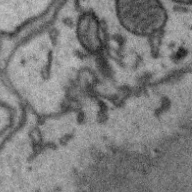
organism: Zebra finch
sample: Brain